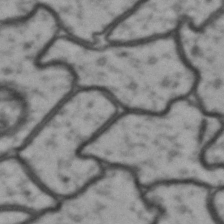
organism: Drosophila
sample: Brain